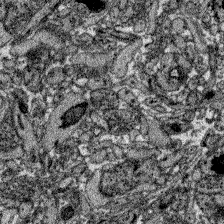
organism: Zebrafish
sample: Larval olfactory bulb